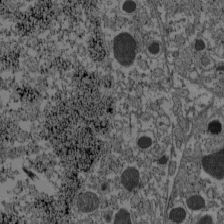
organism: C57BL Mouse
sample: Pancreatic islet